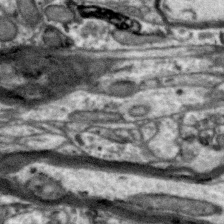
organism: Zebra finch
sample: Brain